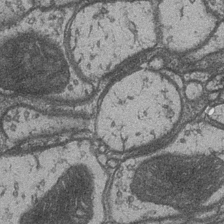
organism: Drosophila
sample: Optic medulla